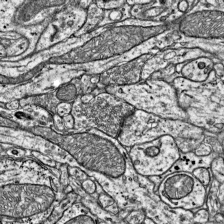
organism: Mouse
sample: Visual Cortex